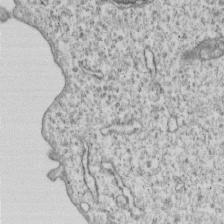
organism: Human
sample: MDA-MB-231 cells